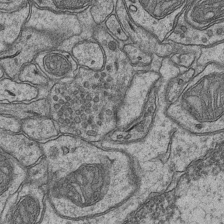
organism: Mouse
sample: CA1 Hippocampus